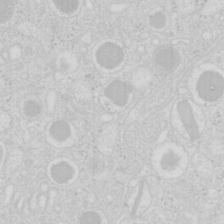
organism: Mouse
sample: Pancreas